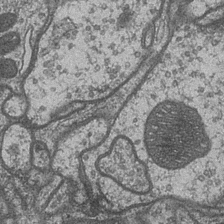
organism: Drosophila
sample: Optic medulla